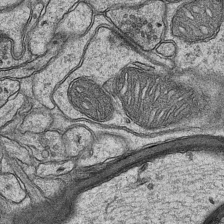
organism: Mouse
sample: CA1 Hippocampus